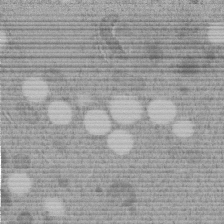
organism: C. elegans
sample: C. elegans embryo early stage